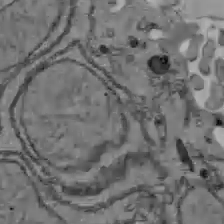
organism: C57BL Mouse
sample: Liver